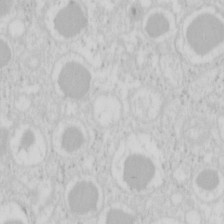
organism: Mouse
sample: Pancreas